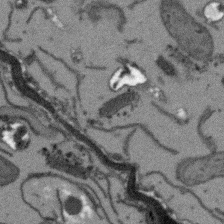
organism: Arabidopsis thaliana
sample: Root tip